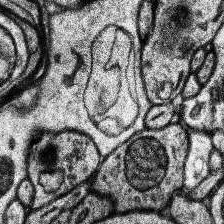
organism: Human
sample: Temporal Lobe